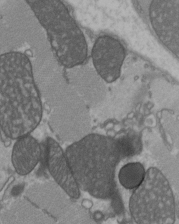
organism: C57BL Mouse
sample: Heart